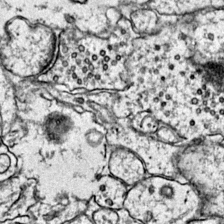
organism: Mouse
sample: Primary visual cortex